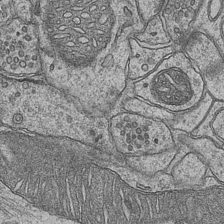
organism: Mouse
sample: CA1 Hippocampus